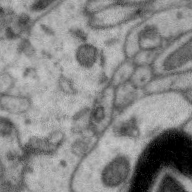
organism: Zebra finch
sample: Brain